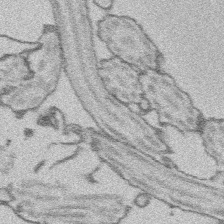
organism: Platynereis dumerilii